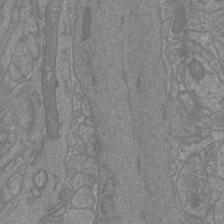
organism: Mouse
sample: Cortical neurons